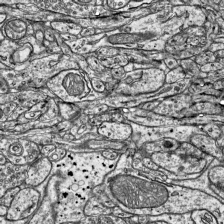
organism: Mouse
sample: Visual Cortex